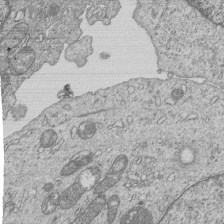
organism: Human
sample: MDA-MB-231 cells